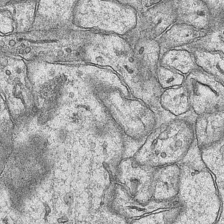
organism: Mouse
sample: CA1 Hippocampus